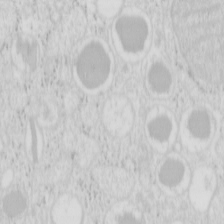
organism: Mouse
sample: Pancreas